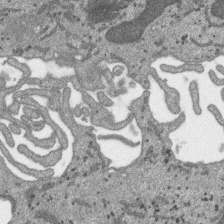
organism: Human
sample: Lung epithelial cells infected with SARS-CoV-2